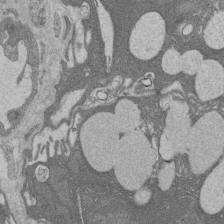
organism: Rat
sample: Salivary granule